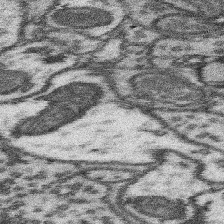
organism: Mouse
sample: Somatosensory cortex neuropil